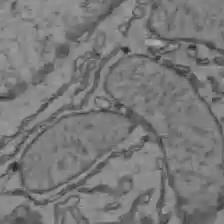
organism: C57BL Mouse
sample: Liver